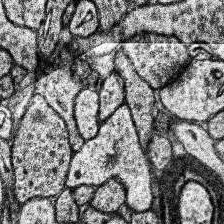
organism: Human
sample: Temporal Lobe